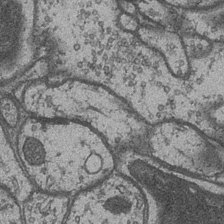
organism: Drosophila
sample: Optic medulla